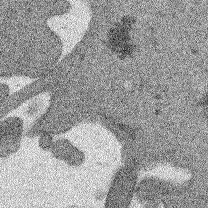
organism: Human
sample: HeLa cells